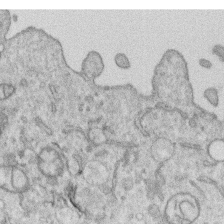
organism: Human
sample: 1205lu cells